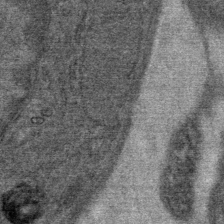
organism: Mouse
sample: Mouse Salivary gland